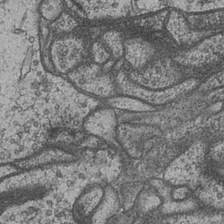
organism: Drosophila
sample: Optic medulla